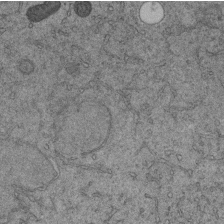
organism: C. elegans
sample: C. elegans embryo early stage